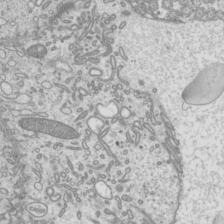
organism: Mouse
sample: Cilia; mouse epididymis